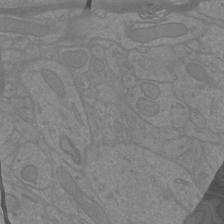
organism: Mouse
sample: Cortical neurons